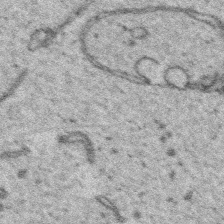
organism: Platynereis dumerilii